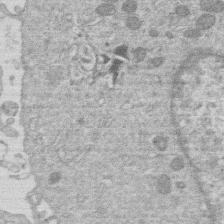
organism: Human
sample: Macrophage cells